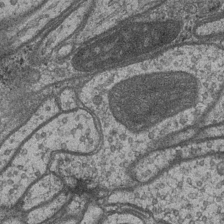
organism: Drosophila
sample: Optic medulla